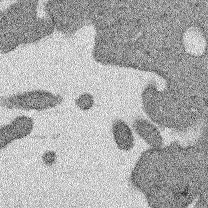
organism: Human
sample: HeLa cells